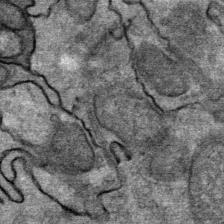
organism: Mouse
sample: Mouse Salivary gland